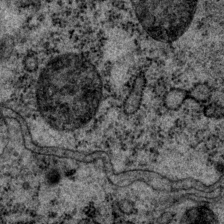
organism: P. pacificus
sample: Pharynx